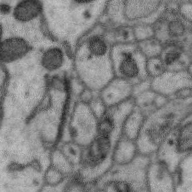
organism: Zebra finch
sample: Brain